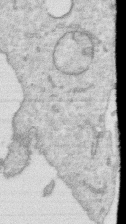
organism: Human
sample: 1205lu cells